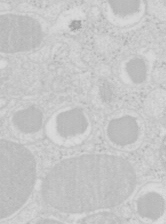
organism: Mouse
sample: Pancreas